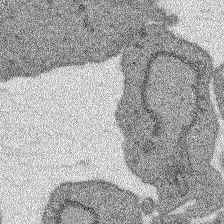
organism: Human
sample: HeLa cells